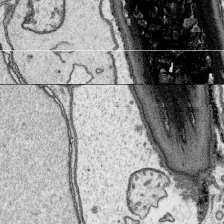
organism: Platynereis dumerilii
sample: Parapodia